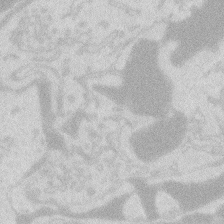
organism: Zebrafish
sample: Macrophage